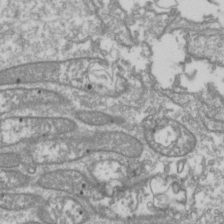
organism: Drosophila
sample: Cell division; meiosis; drosophila spermatocytes